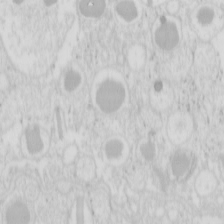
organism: Mouse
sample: Pancreas